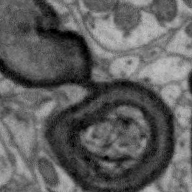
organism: Zebra finch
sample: Brain